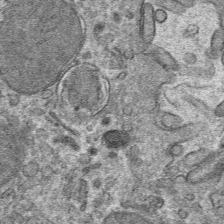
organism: Mouse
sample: Mouse hepatocytes